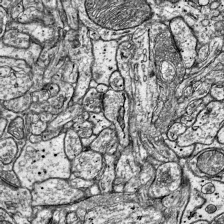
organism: Mouse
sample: Visual Cortex